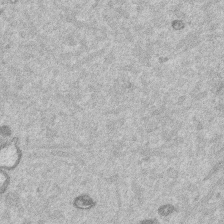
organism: Mouse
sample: Dividing mouse embryo 1 cell stage